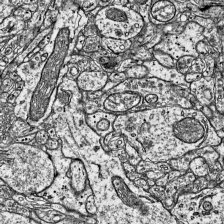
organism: Mouse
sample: Visual Cortex